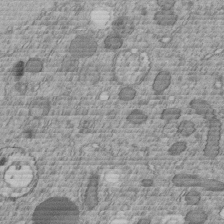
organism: C. elegans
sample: C. elegans embryo early stage